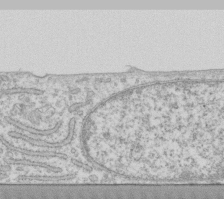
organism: Human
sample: Fibroblast cells